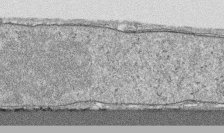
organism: Human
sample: CRL-1474